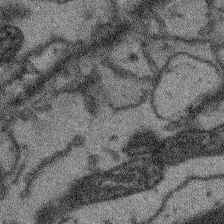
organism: Arabidopsis thaliana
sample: Root tip